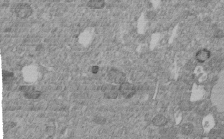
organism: C. elegans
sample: C. elegans embryo early stage